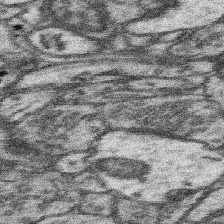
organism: Mouse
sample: Somatosensory cortex neuropil